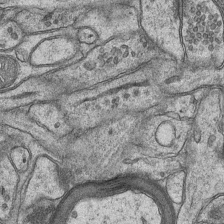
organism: Mouse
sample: CA1 Hippocampus